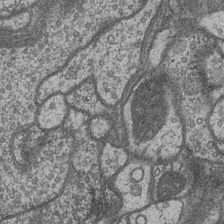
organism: Drosophila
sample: Optic medulla